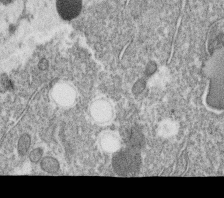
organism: C. elegans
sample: C. elegans oocyte; sperm cells